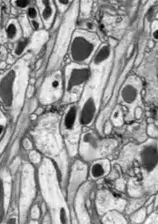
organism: Drosophila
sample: Optic lobe